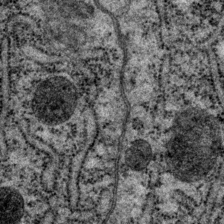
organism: P. pacificus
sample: Pharynx